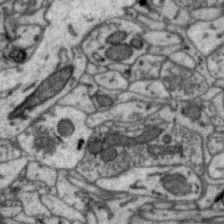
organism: Zebra finch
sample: Brain